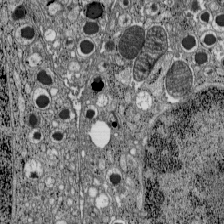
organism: C57BL Mouse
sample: Pancreatic islet